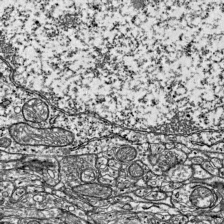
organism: Mouse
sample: Visual Cortex